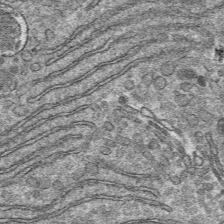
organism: Mouse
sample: Mouse hepatocytes